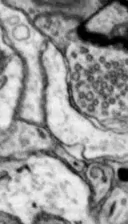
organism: Mouse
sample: Nucleus accumbens